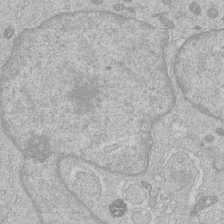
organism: Human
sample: Macrophage cells